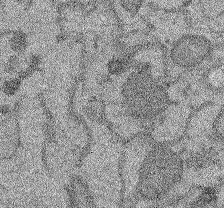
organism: Human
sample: HeLa cells